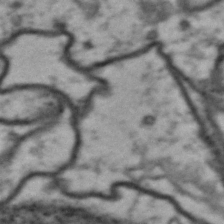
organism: Drosophila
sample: Brain